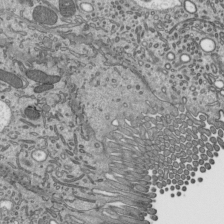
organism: Mouse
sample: Mouse epididymis efferent ductule cilia